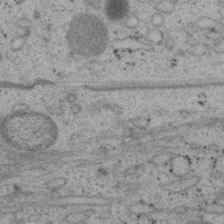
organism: Human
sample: HeLa cells